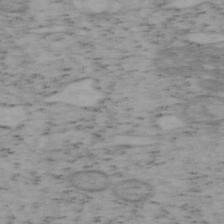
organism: Mouse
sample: OT-I killer T cells with ID8 ovarian cancer cells